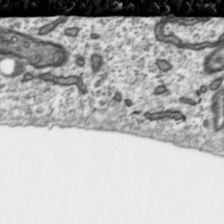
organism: Toxoplasma gondii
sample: Parasites in a vacuole inside a host cell